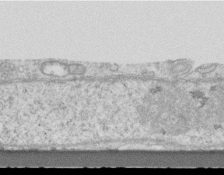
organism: Mouse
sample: Centriole in ependymal cells